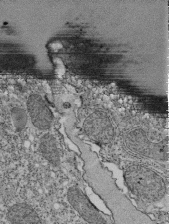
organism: Tetrahymena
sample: Cilia in tetrahymena